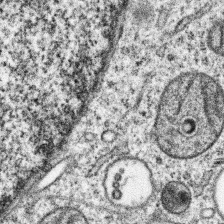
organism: Human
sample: HeLa cells